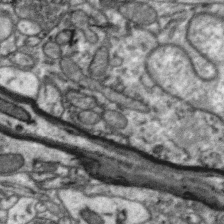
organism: Zebra finch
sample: Brain